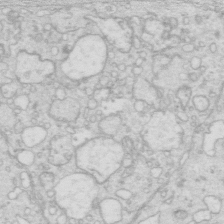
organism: Mouse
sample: Multiciliated cells